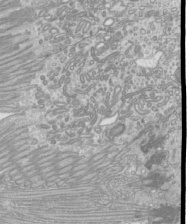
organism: Mouse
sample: Cilia; mouse epididymis